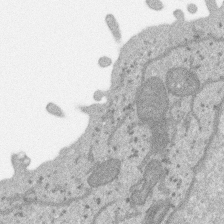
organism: Human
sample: Lung epithelial cells infected with SARS-CoV-2